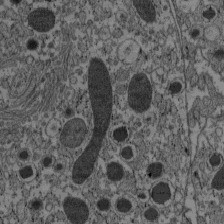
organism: C57BL Mouse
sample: Pancreatic islet